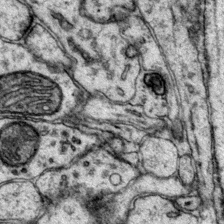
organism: Mouse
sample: Primary visual cortex